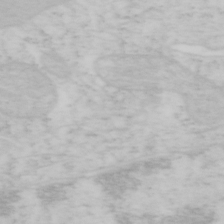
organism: Mouse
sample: OT-I killer T cells with ID8 ovarian cancer cells